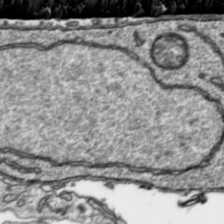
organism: Toxoplasma gondii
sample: Parasites in a vacuole inside a host cell